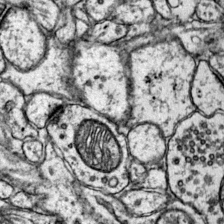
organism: Mouse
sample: Primary visual cortex